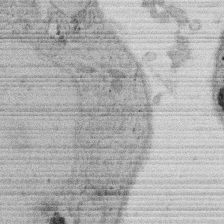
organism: Rat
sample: Salivary granule